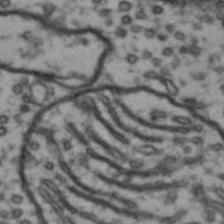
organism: Drosophila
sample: Brain